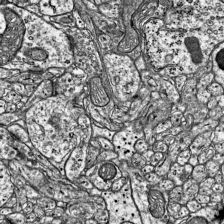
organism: Mouse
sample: Visual Cortex